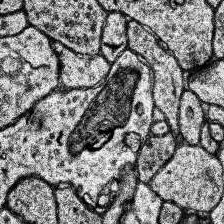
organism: Human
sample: Temporal Lobe